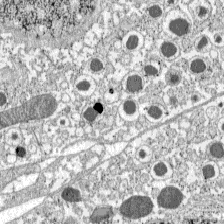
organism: C57BL Mouse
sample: Pancreatic islet